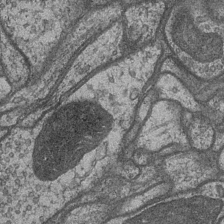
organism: Drosophila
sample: Optic medulla